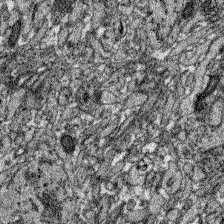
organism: Zebrafish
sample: Larval olfactory bulb